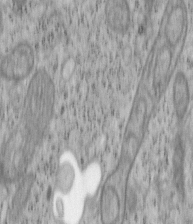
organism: Human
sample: HeLa cells